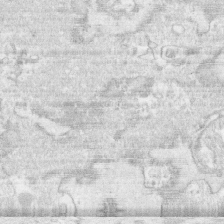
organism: Human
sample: CRL-1474